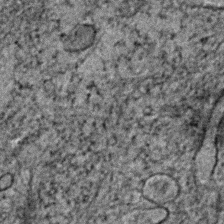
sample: Trachea